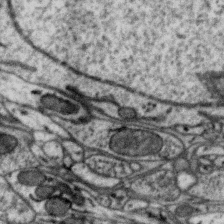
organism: Zebra finch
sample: Brain